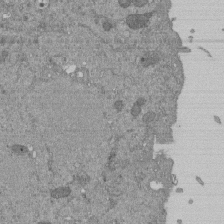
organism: Mouse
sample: ED-1 cell nuclei; centrioles